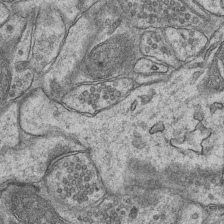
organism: Mouse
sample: CA1 Hippocampus